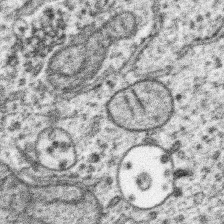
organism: Human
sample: HeLa cells